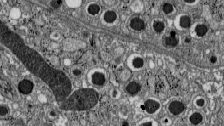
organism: C57BL Mouse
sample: Pancreatic islet